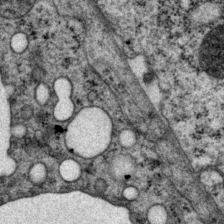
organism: P. pacificus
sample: Pharynx